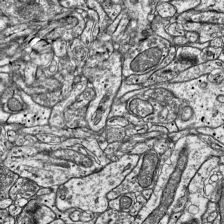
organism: Mouse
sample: Visual Cortex